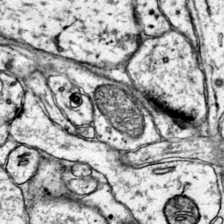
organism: Mouse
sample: Primary visual cortex